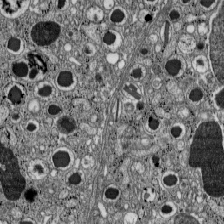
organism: C57BL Mouse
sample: Pancreatic islet